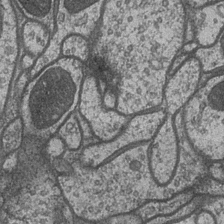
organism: Drosophila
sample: Optic medulla